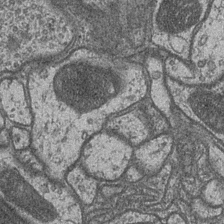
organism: Drosophila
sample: Optic medulla